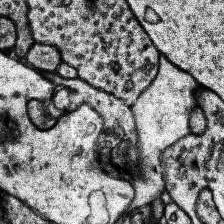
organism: Human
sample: Temporal Lobe